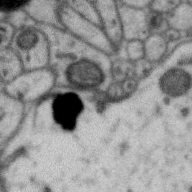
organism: Zebra finch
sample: Brain